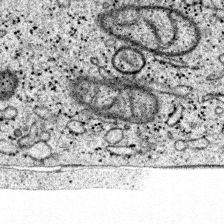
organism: Human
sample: HeLa cells